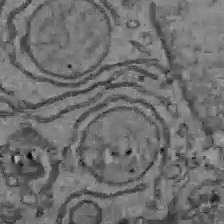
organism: C57BL Mouse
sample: Liver